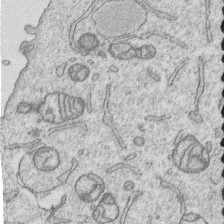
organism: Human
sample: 1205lu cells